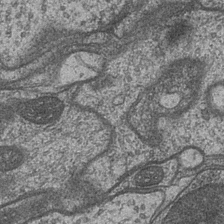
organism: Drosophila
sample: Optic medulla